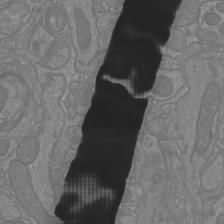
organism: Mouse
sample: Cortical neurons